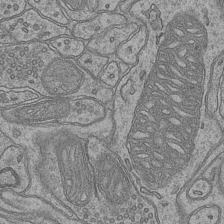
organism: Mouse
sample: CA1 Hippocampus